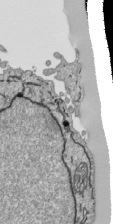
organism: Human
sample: Mitochondria in HCT116 cells